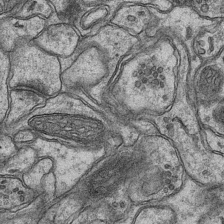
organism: Mouse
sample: CA1 Hippocampus